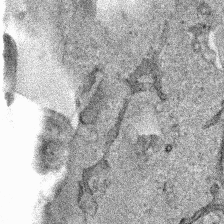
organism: Human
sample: Mitochondria in HCT116 cells